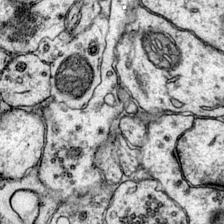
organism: Mouse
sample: Primary visual cortex